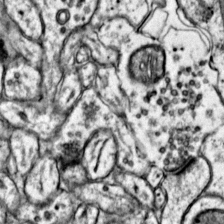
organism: Mouse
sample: Primary visual cortex